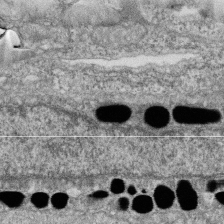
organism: Zebrafish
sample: Cilia; retinal pigment epithelium